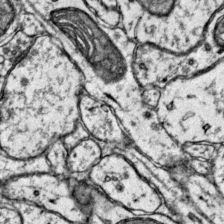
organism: Mouse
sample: Primary visual cortex